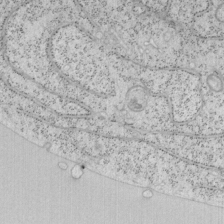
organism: Mouse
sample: OT-I killer T cells with ID8 ovarian cancer cells